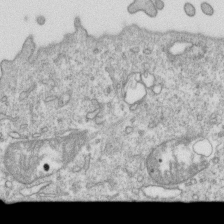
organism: Mouse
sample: Activated OT-1 CD8+ T cells